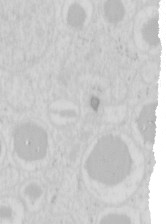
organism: Mouse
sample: Pancreas